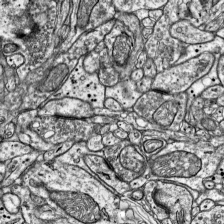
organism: Mouse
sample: Visual Cortex